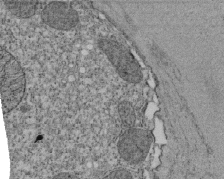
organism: Tetrahymena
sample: Cilia in tetrahymena